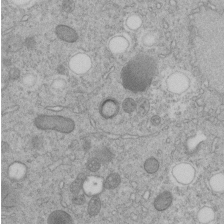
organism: C. elegans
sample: C. elegans embryo early stage